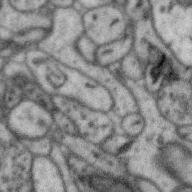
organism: Zebra finch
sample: Brain